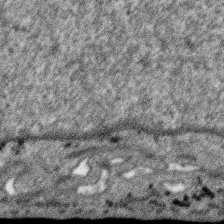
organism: Human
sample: Lung epithelial cells infected with SARS-CoV-2